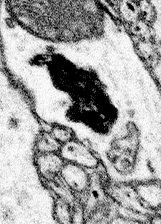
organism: Mouse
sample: Somatosensory cortex neuropil